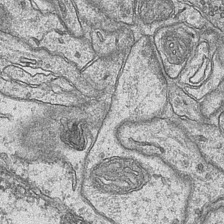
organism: Mouse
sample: CA1 Hippocampus